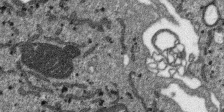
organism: Human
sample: Lung epithelial cells infected with SARS-CoV-2